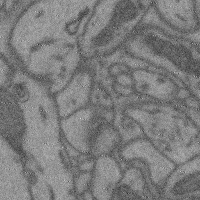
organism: Mouse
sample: Cerebral cortex